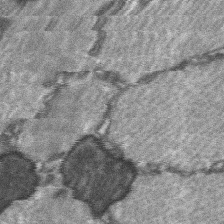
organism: C57BL Mouse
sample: Soleus